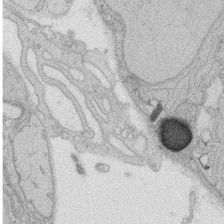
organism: Rat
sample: Salivary granule